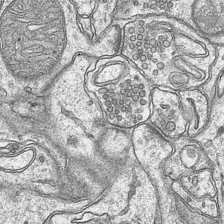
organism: Mouse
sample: CA1 Hippocampus